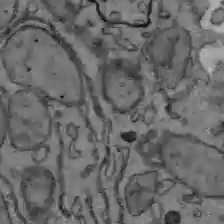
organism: C57BL Mouse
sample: Liver